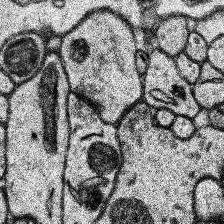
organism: Human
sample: Temporal Lobe